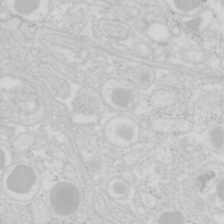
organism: Mouse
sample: Pancreas